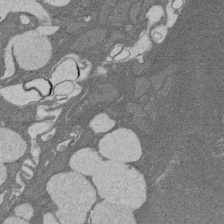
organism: Rat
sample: Salivary granule